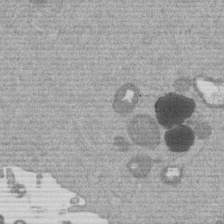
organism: Mouse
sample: Dividing mouse embryo 1 cell stage